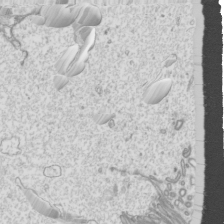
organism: Mouse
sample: Cilia; mouse epididymis